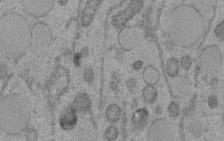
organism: C. elegans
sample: C. elegans embryo early stage